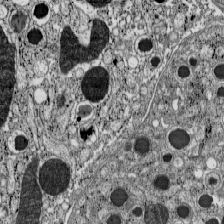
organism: C57BL Mouse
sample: Pancreatic islet